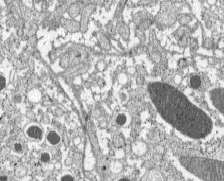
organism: C57BL Mouse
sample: Pancreatic islet